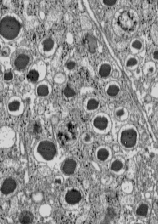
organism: C57BL Mouse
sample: Pancreatic islet